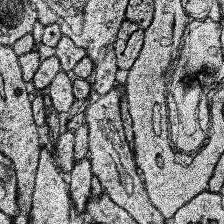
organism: Human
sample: Temporal Lobe